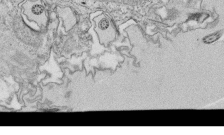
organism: Tetrahymena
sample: Cilia in tetrahymena